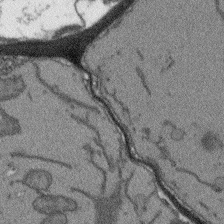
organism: Arabidopsis thaliana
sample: Root tip